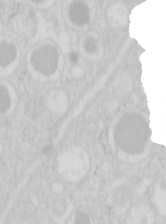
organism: Mouse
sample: Pancreas